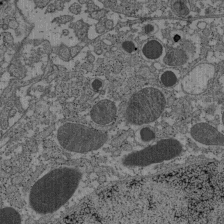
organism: C57BL Mouse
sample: Pancreatic islet